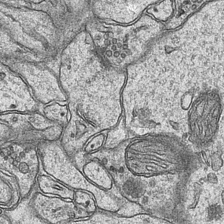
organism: Mouse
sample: CA1 Hippocampus